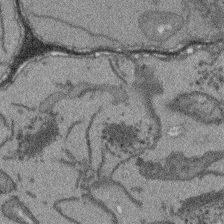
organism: Arabidopsis thaliana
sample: Root tip